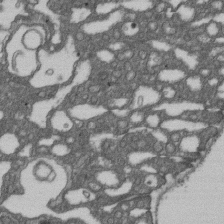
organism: Drosophila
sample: Nephrocyte